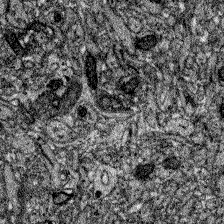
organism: Zebrafish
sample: Larval olfactory bulb